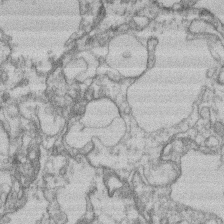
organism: Mouse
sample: T cell stromal cell synapse